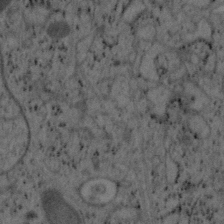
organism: Human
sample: HeLa cells